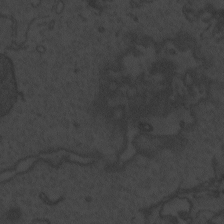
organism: Zebrafish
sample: Macrophage infected with Toxoplasma gondii